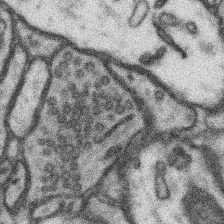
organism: Mouse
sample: Somatosensory cortex neuropil